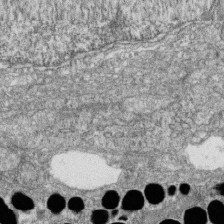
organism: Zebrafish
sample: Cilia; retinal pigment epithelium